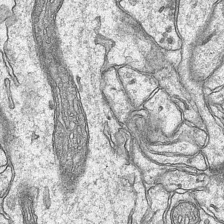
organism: Mouse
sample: CA1 Hippocampus